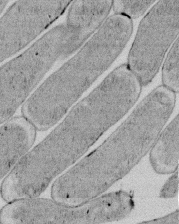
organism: E. coli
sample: Bacterial nucleoid